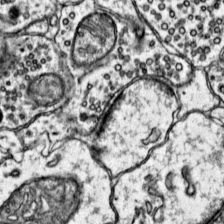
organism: Mouse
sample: Primary visual cortex